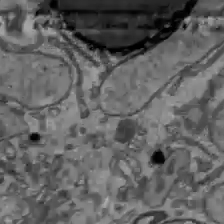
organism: C57BL Mouse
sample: Liver